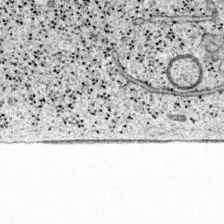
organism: Human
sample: HeLa cells